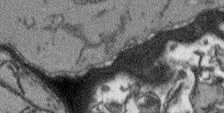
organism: Arabidopsis thaliana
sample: Root tip